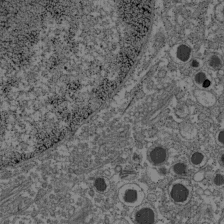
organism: C57BL Mouse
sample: Pancreatic islet